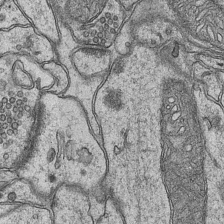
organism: Mouse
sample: CA1 Hippocampus